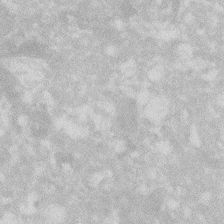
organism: Zebrafish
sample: Macrophage